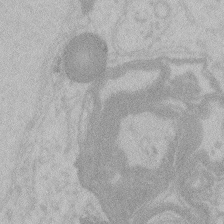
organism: Zebrafish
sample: Macrophage infected with Toxoplasma gondii